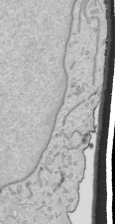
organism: Human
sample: Mitochondria in HCT116 cells